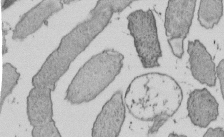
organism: E. coli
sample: Bacterial nucleoid